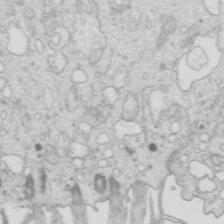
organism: Mouse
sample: Multiciliated cells